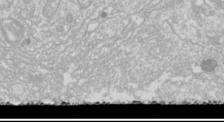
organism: Drosophila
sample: Cell division; meiosis; drosophila spermatocytes